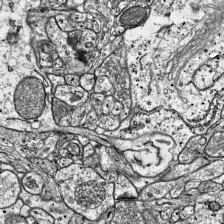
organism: Mouse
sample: Visual Cortex